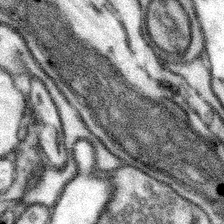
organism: Mouse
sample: Somatosensory cortex neuropil